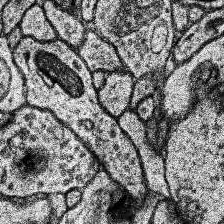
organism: Human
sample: Temporal Lobe